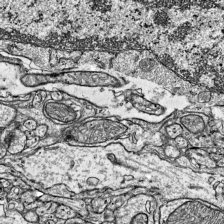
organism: Mouse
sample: Visual Cortex